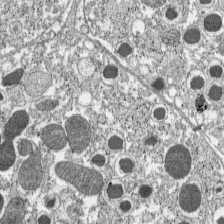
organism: C57BL Mouse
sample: Pancreatic islet